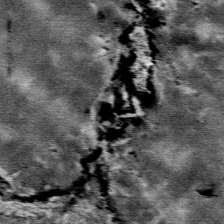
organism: Mouse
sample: Mouse Salivary gland